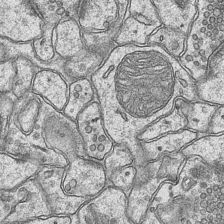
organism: Mouse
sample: CA1 Hippocampus